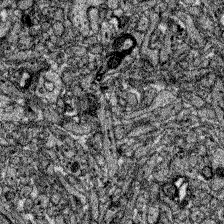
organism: Zebrafish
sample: Larval olfactory bulb